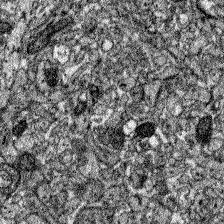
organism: Zebrafish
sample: Larval olfactory bulb